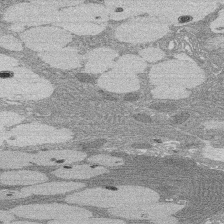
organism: Rat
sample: Salivary granule